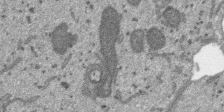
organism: Human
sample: Lung epithelial cells infected with SARS-CoV-2